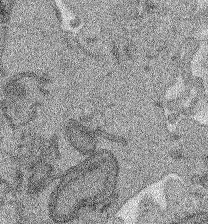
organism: Human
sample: HeLa cells